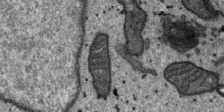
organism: Human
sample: Lung epithelial cells, uninfected (mock) control